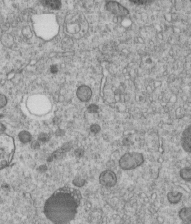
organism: C. elegans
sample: C. elegans embryo early stage